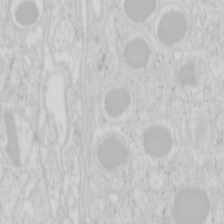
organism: Mouse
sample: Pancreas